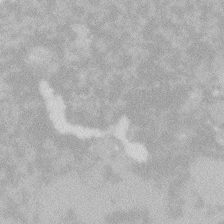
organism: Zebrafish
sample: Macrophage